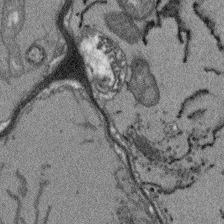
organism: Arabidopsis thaliana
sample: Root tip